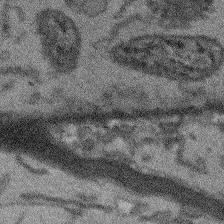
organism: Arabidopsis thaliana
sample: Root tip